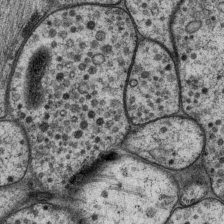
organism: P. pacificus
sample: Pharynx